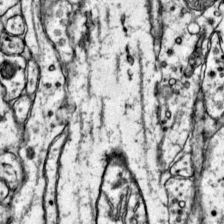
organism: Mouse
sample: Primary visual cortex